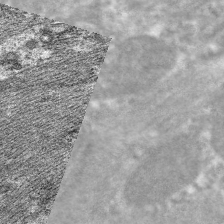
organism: C. elegans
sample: Pharynx